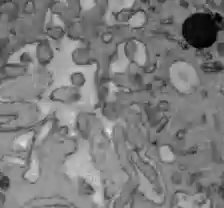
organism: C57BL Mouse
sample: Liver